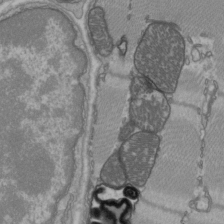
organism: C57BL Mouse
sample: Heart